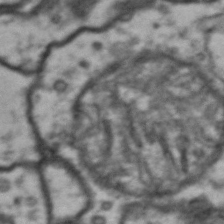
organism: Drosophila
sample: Brain